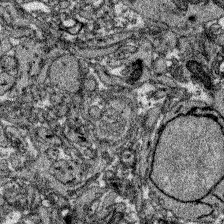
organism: Zebrafish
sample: Larval olfactory bulb